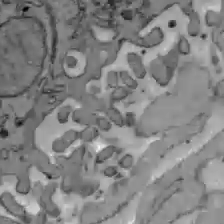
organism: C57BL Mouse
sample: Liver